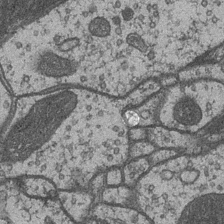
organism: Drosophila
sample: Optic medulla